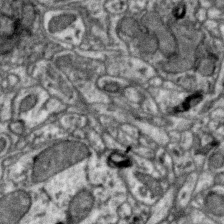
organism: Zebra finch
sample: Brain